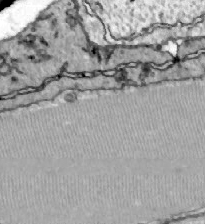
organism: Zebrafish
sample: Actinotrichia fibers